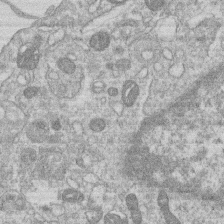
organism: Human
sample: Macrophage cells